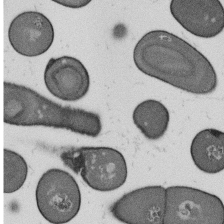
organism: B. subtilis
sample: Bacterial spore